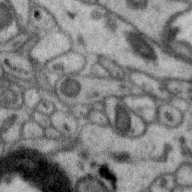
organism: Zebra finch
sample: Brain